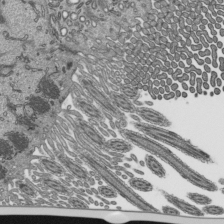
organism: Mouse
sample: Mouse epididymis efferent ductule cilia